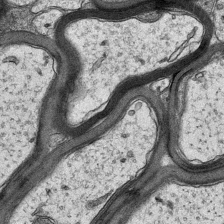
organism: Mouse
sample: CA1 Hippocampus